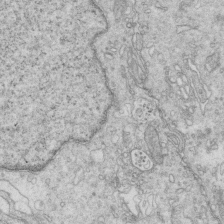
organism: Mouse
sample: Multiciliated cells